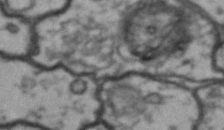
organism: Drosophila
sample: Brain